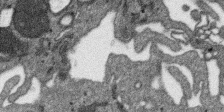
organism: Human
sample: Lung epithelial cells infected with SARS-CoV-2